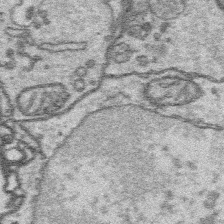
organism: Platynereis dumerilii